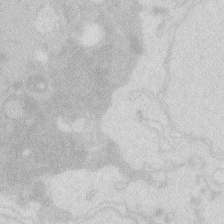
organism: Zebrafish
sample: Macrophage